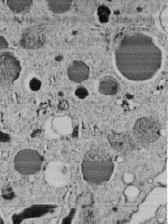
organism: C. elegans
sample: C. elegans embryo early stage